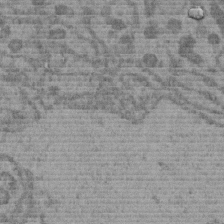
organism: C. elegans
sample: C. elegans embryo early stage